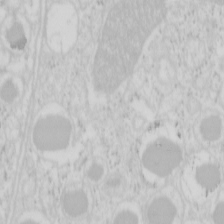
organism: Mouse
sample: Pancreas